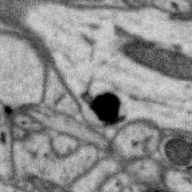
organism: Zebra finch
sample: Brain